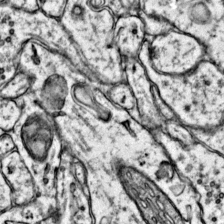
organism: Mouse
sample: Primary visual cortex